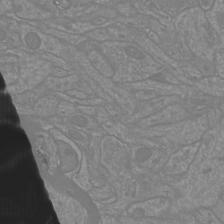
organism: Mouse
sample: Cortical neurons